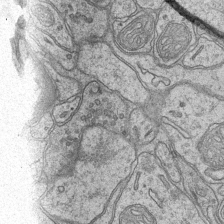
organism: Mouse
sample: CA1 Hippocampus